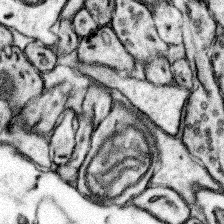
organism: Mouse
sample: Somatosensory cortex neuropil